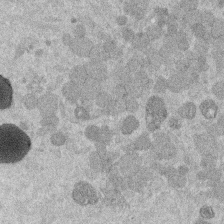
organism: Mouse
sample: Dividing mouse embryo 1 cell stage